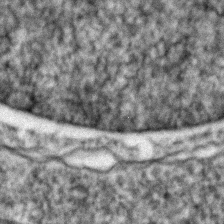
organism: Zebrafish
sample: Zebrafish embryo